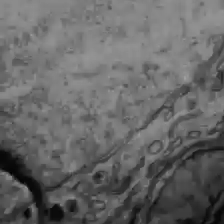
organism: C57BL Mouse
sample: Liver